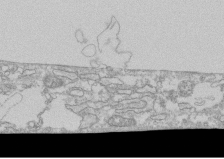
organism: Human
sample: CRL-1474